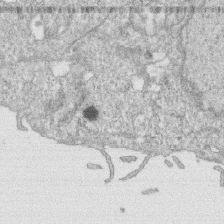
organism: Human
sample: HeLa cell HIV synapse